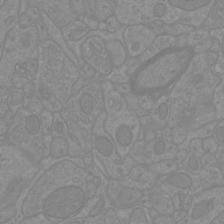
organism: Mouse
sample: Cortical neurons